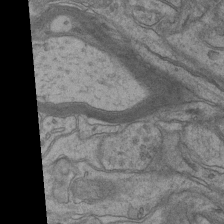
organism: Mouse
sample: CA1 Hippocampus